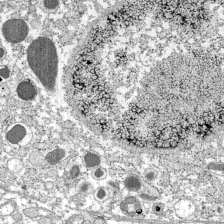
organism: C57BL Mouse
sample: Pancreatic islet